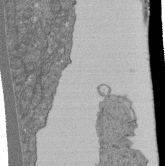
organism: Human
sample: Retinal organoid Rod and Cone cells